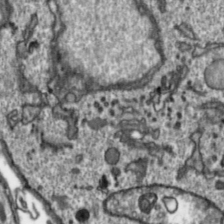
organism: Toxoplasma gondii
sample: Parasites in a vacuole inside a host cell